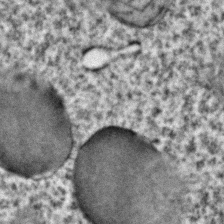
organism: C. elegans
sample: C. elegans embryo